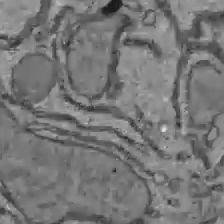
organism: C57BL Mouse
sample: Liver